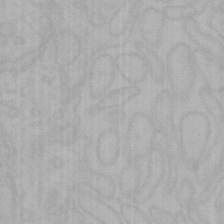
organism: Mouse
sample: Choroid plexus